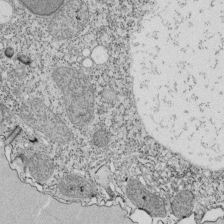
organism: Tetrahymena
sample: Cilia in tetrahymena